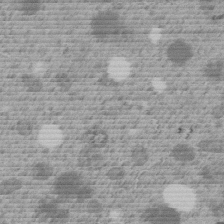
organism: C. elegans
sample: C. elegans embryo early stage